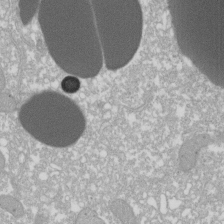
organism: Xenopus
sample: Cilia; centrioles in frog embryo cells